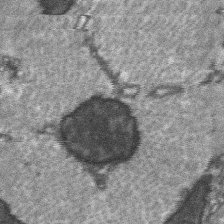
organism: C57BL Mouse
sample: Soleus